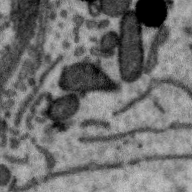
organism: Zebra finch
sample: Brain